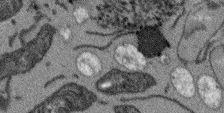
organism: Arabidopsis thaliana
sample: Root tip